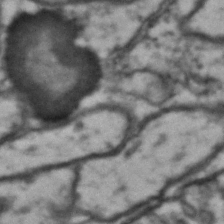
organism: Drosophila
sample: Brain